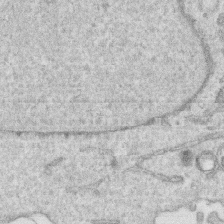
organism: Human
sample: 1205lu cells